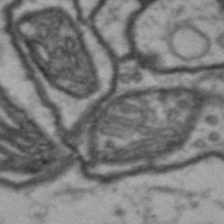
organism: Drosophila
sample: Brain